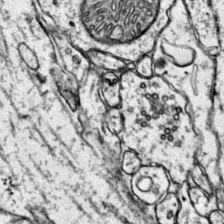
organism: Mouse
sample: Primary visual cortex